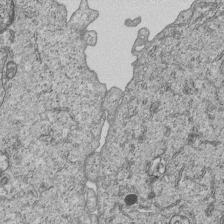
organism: Human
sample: MDA-MB-231 cells